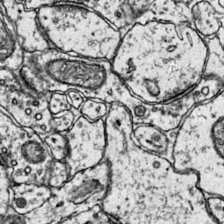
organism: Mouse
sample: Primary visual cortex